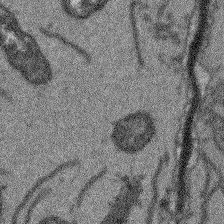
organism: Arabidopsis thaliana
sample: Root tip